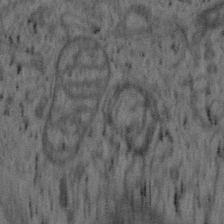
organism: Human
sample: HeLa cells